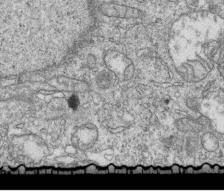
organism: Human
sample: HeLa cell HIV synapse